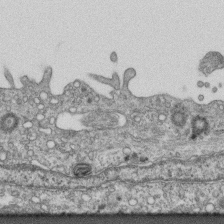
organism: Mouse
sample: Centriole in ependymal cells